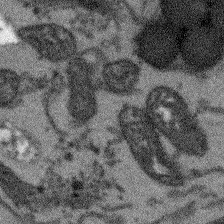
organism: Arabidopsis thaliana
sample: Root tip